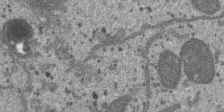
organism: Human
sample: Lung epithelial cells infected with SARS-CoV-2